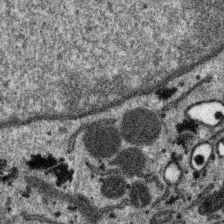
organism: Human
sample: Lung epithelial cells infected with SARS-CoV-2